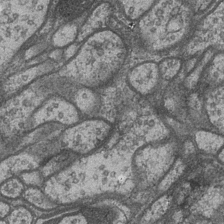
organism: Drosophila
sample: Optic medulla